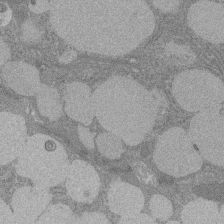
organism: Rat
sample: Salivary granule